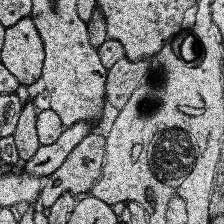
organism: Human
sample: Temporal Lobe